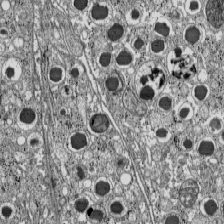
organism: C57BL Mouse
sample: Pancreatic islet